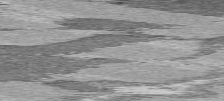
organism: C57BL Mouse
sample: Heart